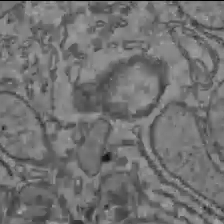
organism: C57BL Mouse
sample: Liver